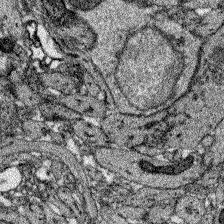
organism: Zebrafish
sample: Larval olfactory bulb